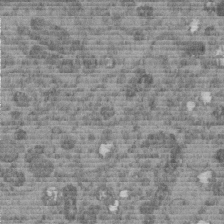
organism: C. elegans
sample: C. elegans embryo early stage